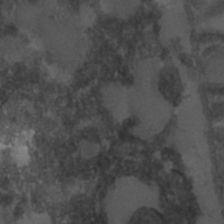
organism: C. elegans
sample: C. elegans embryo